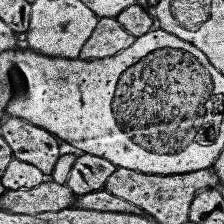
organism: Human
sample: Temporal Lobe